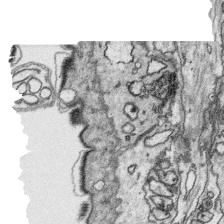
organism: Platynereis dumerilii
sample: Parapodia